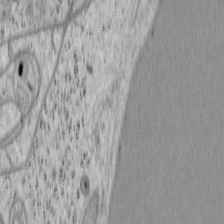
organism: Human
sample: HeLa cells